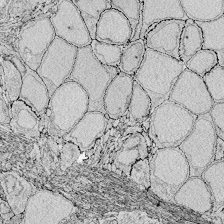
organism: Zebrafish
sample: Whole-Brain